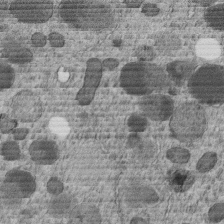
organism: C. elegans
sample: C. elegans embryo early stage